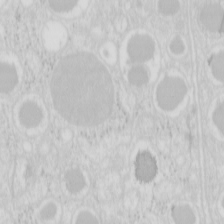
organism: Mouse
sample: Pancreas